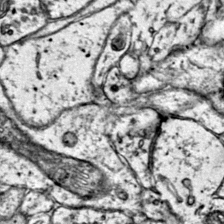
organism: Mouse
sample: Primary visual cortex